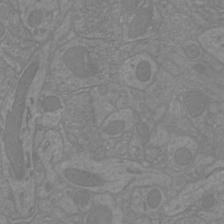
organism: Mouse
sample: Cortical neurons